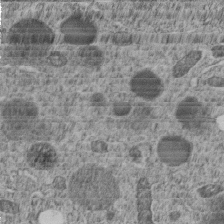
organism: C. elegans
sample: C. elegans embryo early stage